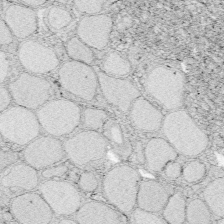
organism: Zebrafish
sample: Whole-Brain